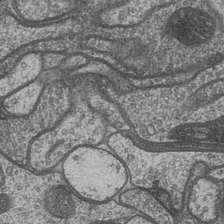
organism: Drosophila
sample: Optic medulla